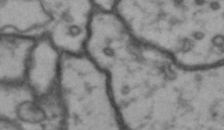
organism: Drosophila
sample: Brain